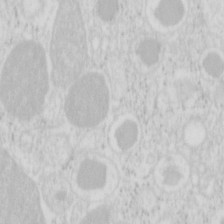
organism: Mouse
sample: Pancreas